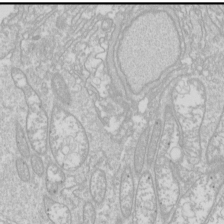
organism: Drosophila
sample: Cell division; meiosis; drosophila spermatocytes